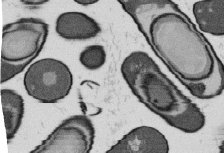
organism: B. subtilis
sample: Bacterial spore